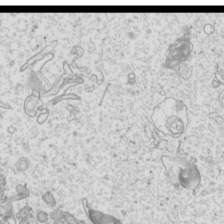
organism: Mouse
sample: Cilia; mouse epididymis